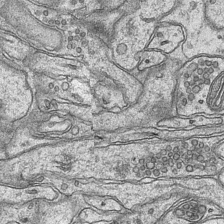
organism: Mouse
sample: CA1 Hippocampus